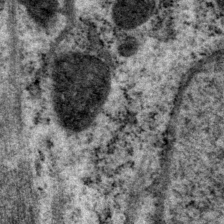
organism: P. pacificus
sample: Pharynx